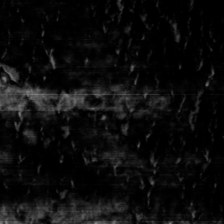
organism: Toxoplasma gondii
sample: Parasites in a vacuole inside a host cell